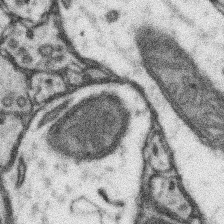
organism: Mouse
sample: Somatosensory cortex neuropil